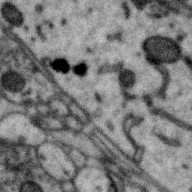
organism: Zebra finch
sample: Brain